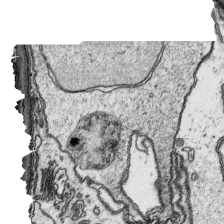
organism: Platynereis dumerilii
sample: Parapodia